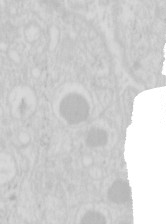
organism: Mouse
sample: Pancreas